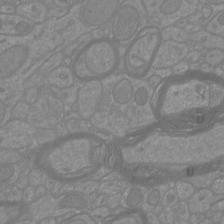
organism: Mouse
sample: Cortical neurons